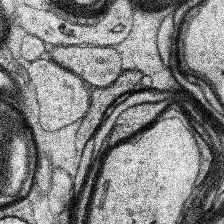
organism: Human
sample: Temporal Lobe